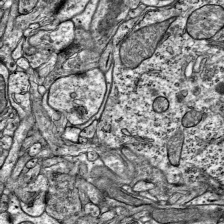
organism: Mouse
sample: Visual Cortex